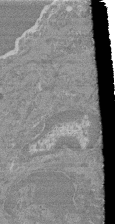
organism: Mouse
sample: Glomerulus